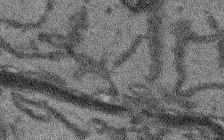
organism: Arabidopsis thaliana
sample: Root tip